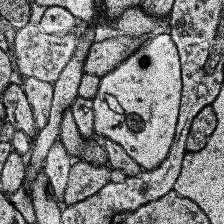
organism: Human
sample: Temporal Lobe